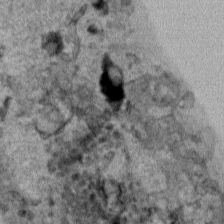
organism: Human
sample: Mitochondria in HCT116 cells